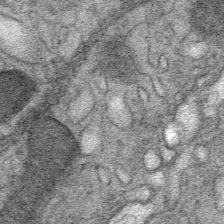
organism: Mouse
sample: Mouse Salivary gland